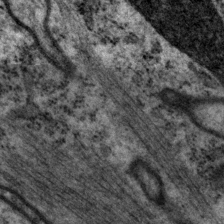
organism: P. pacificus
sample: Pharynx